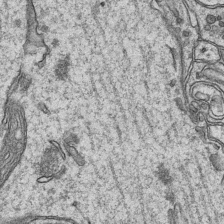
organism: Mouse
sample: CA1 Hippocampus